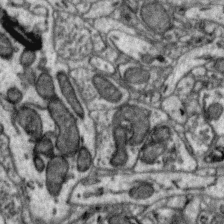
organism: Zebra finch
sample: Brain